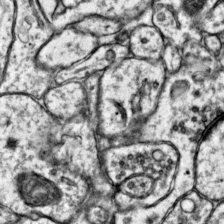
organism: Mouse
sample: Primary visual cortex